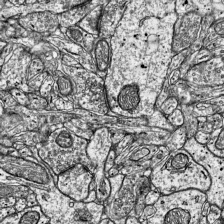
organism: Mouse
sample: Visual Cortex